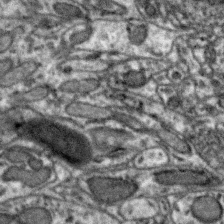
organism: Zebra finch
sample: Brain